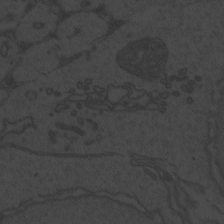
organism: Zebrafish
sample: Macrophage infected with Toxoplasma gondii